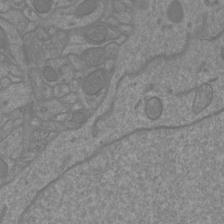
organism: Mouse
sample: Cortical neurons